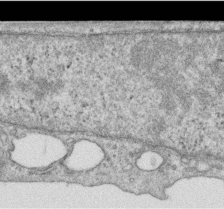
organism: Human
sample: Centriole in RPE cells